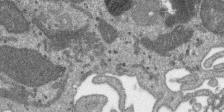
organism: Human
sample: Lung epithelial cells infected with SARS-CoV-2